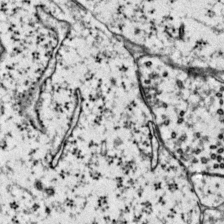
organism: Mouse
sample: Primary visual cortex